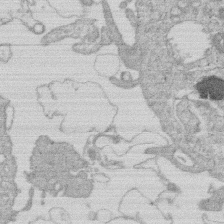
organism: Human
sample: Macrophage cells